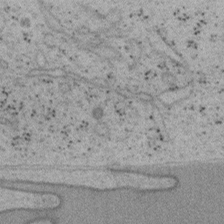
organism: Human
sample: HeLa cells